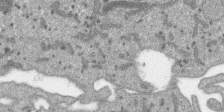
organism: Human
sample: Lung epithelial cells infected with SARS-CoV-2